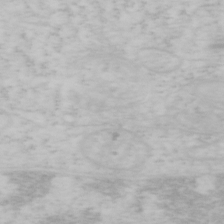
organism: Mouse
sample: OT-I killer T cells with ID8 ovarian cancer cells